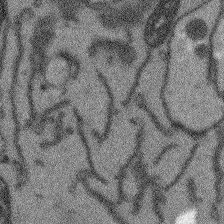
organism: Arabidopsis thaliana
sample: Root tip